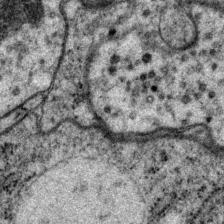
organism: P. pacificus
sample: Pharynx